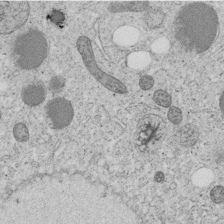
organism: C. elegans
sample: C. elegans embryo early stage